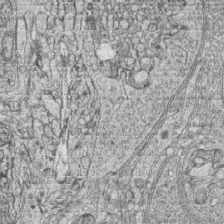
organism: Zebrafish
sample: synaptic ribbons in rod cells and cone cells